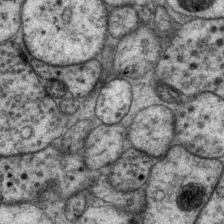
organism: P. pacificus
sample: Pharynx